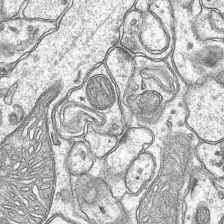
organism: Mouse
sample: CA1 Hippocampus